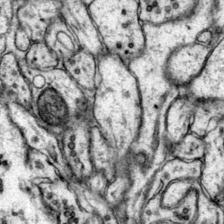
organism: Mouse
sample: Primary visual cortex